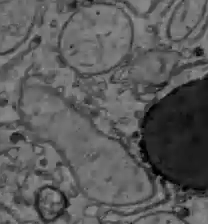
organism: C57BL Mouse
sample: Liver